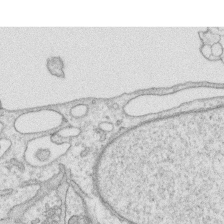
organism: Human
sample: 1205lu cells